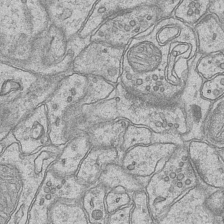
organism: Mouse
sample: CA1 Hippocampus